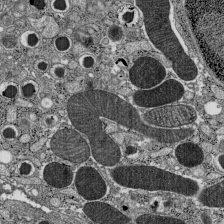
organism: C57BL Mouse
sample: Pancreatic islet